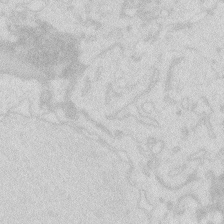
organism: Zebrafish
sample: Macrophage